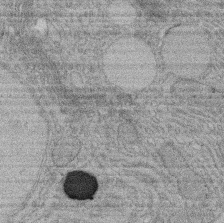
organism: Rat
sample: Salivary granule